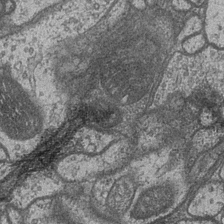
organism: Drosophila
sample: Optic medulla